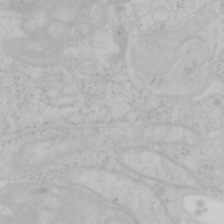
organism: Mouse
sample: OT-I killer T cells with ID8 ovarian cancer cells